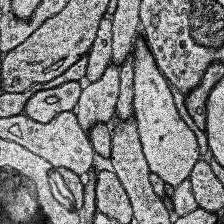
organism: Human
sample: Temporal Lobe